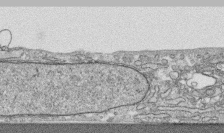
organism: Human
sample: CRL-1474